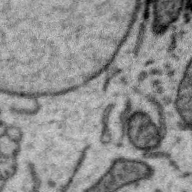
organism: Zebra finch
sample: Brain